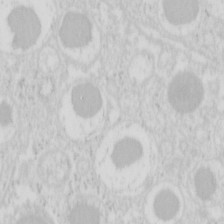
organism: Mouse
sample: Pancreas